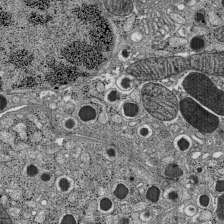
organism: C57BL Mouse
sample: Pancreatic islet